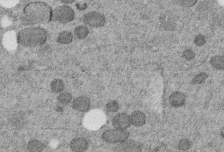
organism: C. elegans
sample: C. elegans embryo early stage